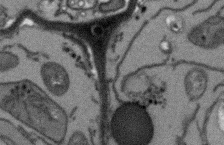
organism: Arabidopsis thaliana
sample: Root tip